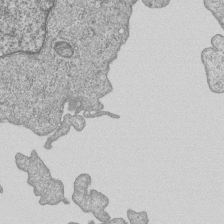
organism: Human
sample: MDA-MB-231 cells